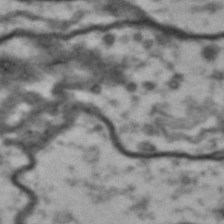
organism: Drosophila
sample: Brain